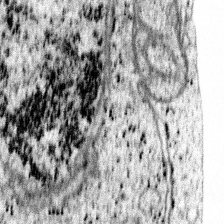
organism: Human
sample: HeLa cells